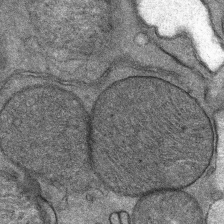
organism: Mouse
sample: Mouse Salivary gland